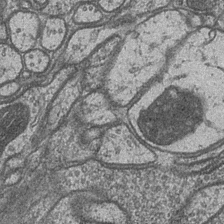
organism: Drosophila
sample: Optic medulla